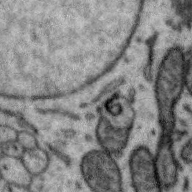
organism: Zebra finch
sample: Brain